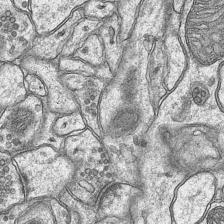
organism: Mouse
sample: CA1 Hippocampus